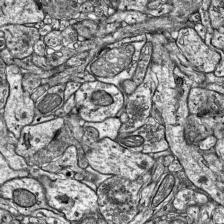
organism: Mouse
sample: Visual Cortex